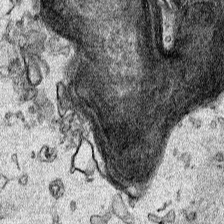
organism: Human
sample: Mitochondria in HCT116 cells